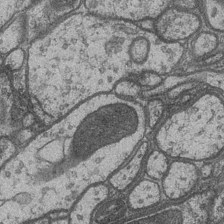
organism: Drosophila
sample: Optic medulla